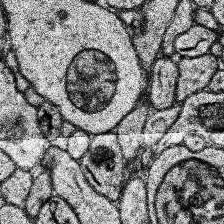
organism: Human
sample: Temporal Lobe